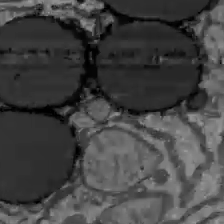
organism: C57BL Mouse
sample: Liver